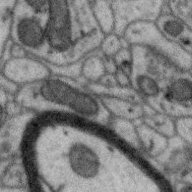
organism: Zebra finch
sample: Brain